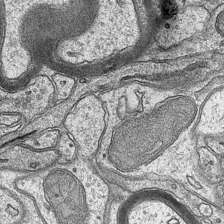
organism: Mouse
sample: CA1 Hippocampus